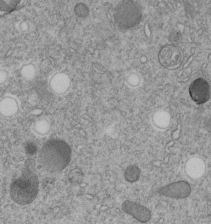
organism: C. elegans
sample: C. elegans embryo early stage